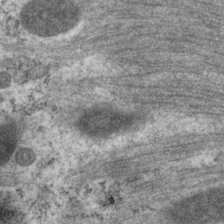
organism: P. pacificus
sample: Pharynx